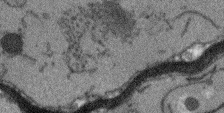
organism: Arabidopsis thaliana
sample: Root tip